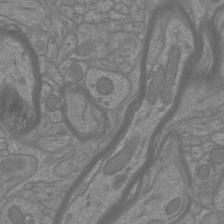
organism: Mouse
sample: Cortical neurons